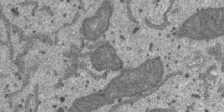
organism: Human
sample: Lung epithelial cells infected with SARS-CoV-2